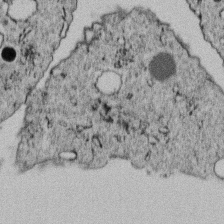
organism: C. elegans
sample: C. elegans embryo early stage